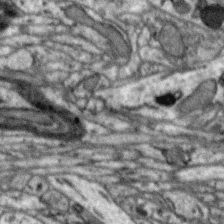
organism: Zebra finch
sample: Brain